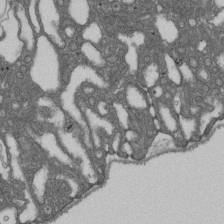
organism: Drosophila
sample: Nephrocyte